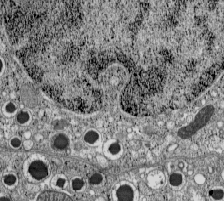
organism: C57BL Mouse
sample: Pancreatic islet